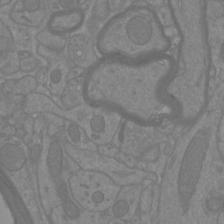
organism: Mouse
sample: Cortical neurons